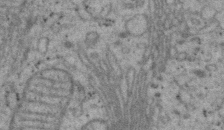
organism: Human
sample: HeLa cells